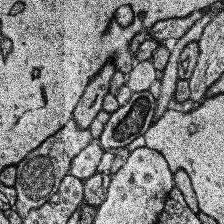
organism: Human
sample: Temporal Lobe